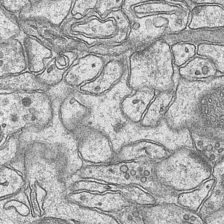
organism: Mouse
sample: CA1 Hippocampus